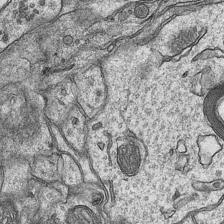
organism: Mouse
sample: CA1 Hippocampus